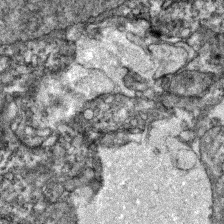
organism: Zebrafish